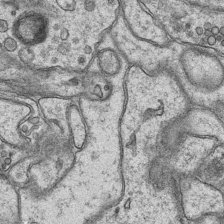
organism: Mouse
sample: CA1 Hippocampus